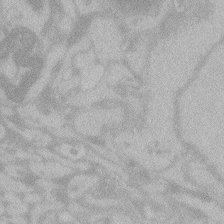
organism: Zebrafish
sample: Macrophage infected with Toxoplasma gondii